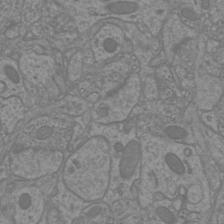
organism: Mouse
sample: Cortical neurons